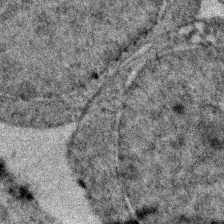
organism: Zebrafish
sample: Zebrafish embryo